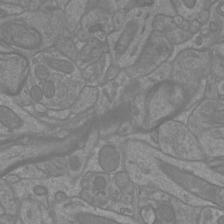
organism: Mouse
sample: Cortical neurons